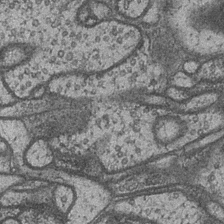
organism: Drosophila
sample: Optic medulla